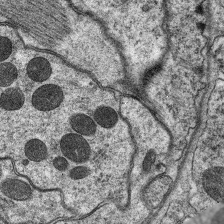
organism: C. elegans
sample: Pharynx